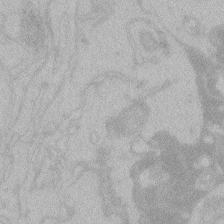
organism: Zebrafish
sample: Macrophage infected with Toxoplasma gondii